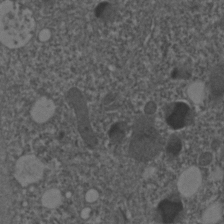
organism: C. elegans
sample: C. elegans embryo